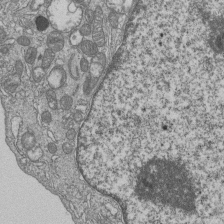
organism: Human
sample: MDA-MB-231 cells